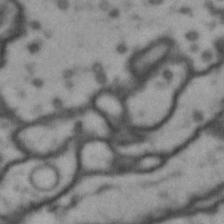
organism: Drosophila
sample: Brain